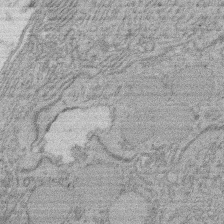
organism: Rat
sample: Salivary granule